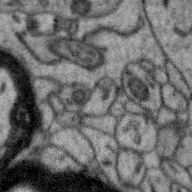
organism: Zebra finch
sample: Brain